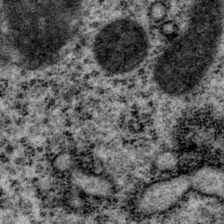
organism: P. pacificus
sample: Pharynx